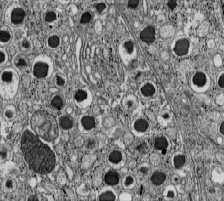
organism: C57BL Mouse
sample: Pancreatic islet